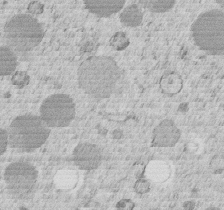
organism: C. elegans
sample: C. elegans embryo early stage